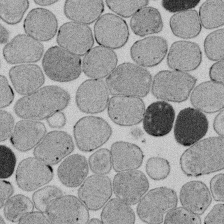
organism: E. coli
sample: Bacterial nucleoid